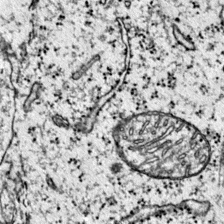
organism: Mouse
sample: Primary visual cortex